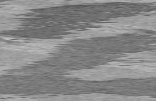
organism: C57BL Mouse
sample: Heart